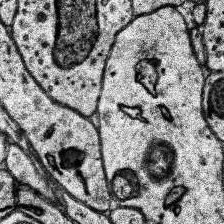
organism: Human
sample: Temporal Lobe